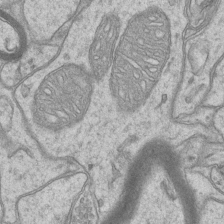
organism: Mouse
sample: CA1 Hippocampus